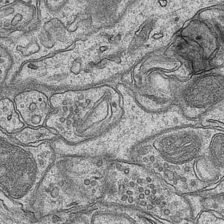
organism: Mouse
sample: CA1 Hippocampus